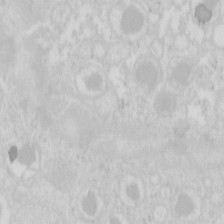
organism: Mouse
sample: Pancreas